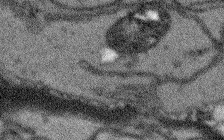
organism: Arabidopsis thaliana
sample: Root tip